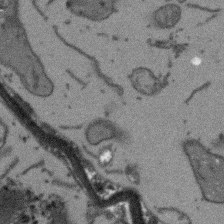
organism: Arabidopsis thaliana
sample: Root tip